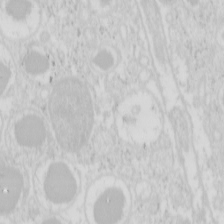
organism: Mouse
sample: Pancreas